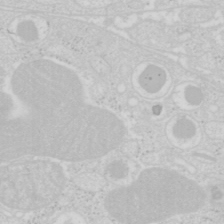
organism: Mouse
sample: Pancreas